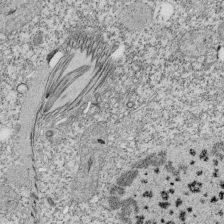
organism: Tetrahymena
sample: Cilia in tetrahymena